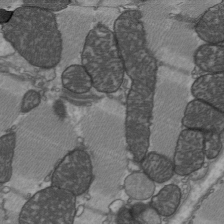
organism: C57BL Mouse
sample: Heart